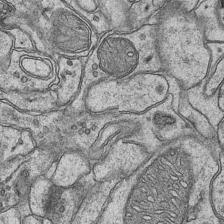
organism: Mouse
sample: CA1 Hippocampus